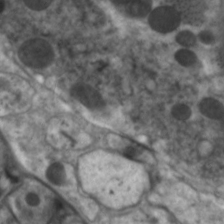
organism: C. elegans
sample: Pharynx